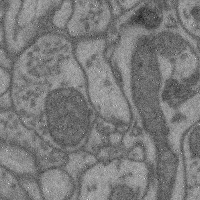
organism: Mouse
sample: Cerebral cortex